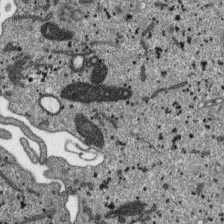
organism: Human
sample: Lung epithelial cells infected with SARS-CoV-2